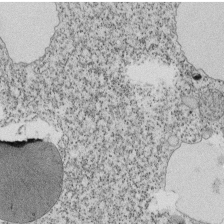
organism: Tetrahymena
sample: Cilia in tetrahymena